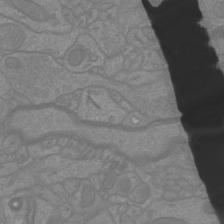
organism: Mouse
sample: Cortical neurons